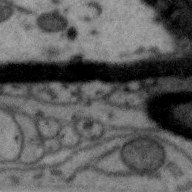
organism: Zebra finch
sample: Brain